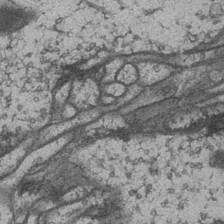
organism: Drosophila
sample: Optic medulla